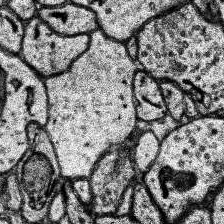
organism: Human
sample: Temporal Lobe